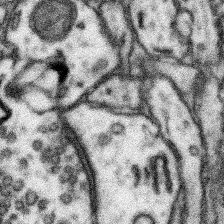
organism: Mouse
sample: Somatosensory cortex neuropil